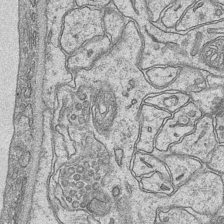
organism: Mouse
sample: CA1 Hippocampus